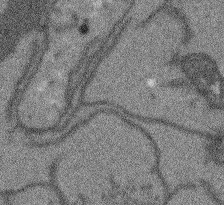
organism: Arabidopsis thaliana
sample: Root tip